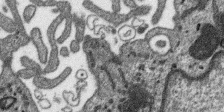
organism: Human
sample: Lung epithelial cells infected with SARS-CoV-2